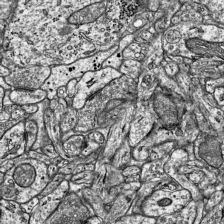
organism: Mouse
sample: Visual Cortex